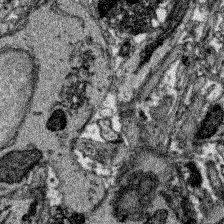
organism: Zebrafish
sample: Larval olfactory bulb